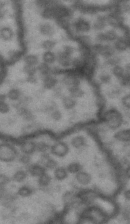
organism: Drosophila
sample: Brain